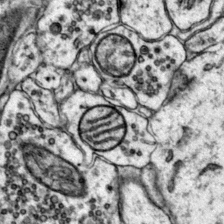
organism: Mouse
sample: Primary visual cortex